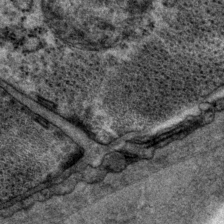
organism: P. pacificus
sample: Pharynx